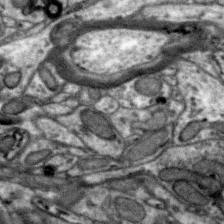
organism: Zebra finch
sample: Brain